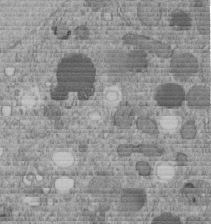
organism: C. elegans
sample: C. elegans embryo early stage